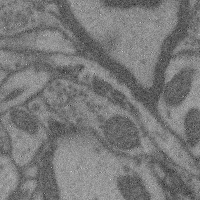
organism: Mouse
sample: Cerebral cortex